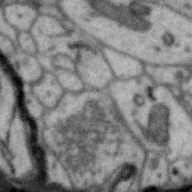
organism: Zebra finch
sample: Brain